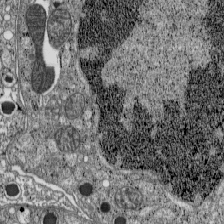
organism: C57BL Mouse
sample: Pancreatic islet